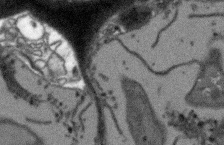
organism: Arabidopsis thaliana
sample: Root tip